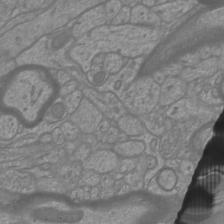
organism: Mouse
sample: Cortical neurons